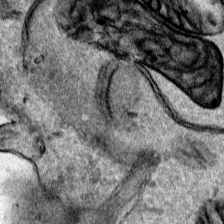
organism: Human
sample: Mitochondria in HCT116 cells